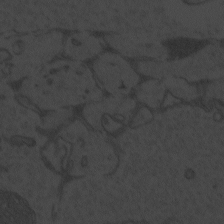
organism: Zebrafish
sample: Macrophage infected with Toxoplasma gondii